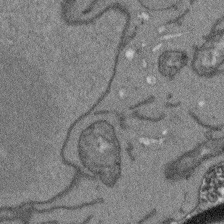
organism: Arabidopsis thaliana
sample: Root tip